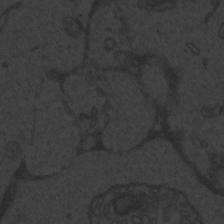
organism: Zebrafish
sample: Macrophage infected with Toxoplasma gondii